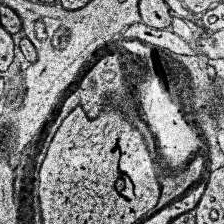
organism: Human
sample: Temporal Lobe